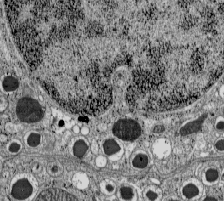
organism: C57BL Mouse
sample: Pancreatic islet